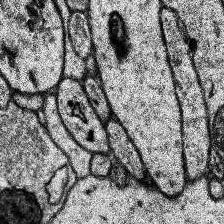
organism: Human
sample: Temporal Lobe